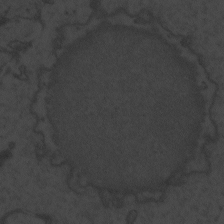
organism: Zebrafish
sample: Macrophage infected with Toxoplasma gondii